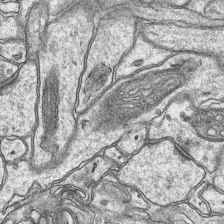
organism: Mouse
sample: CA1 Hippocampus